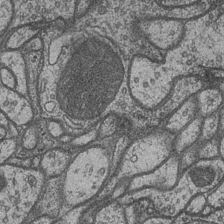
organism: Drosophila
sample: Optic medulla